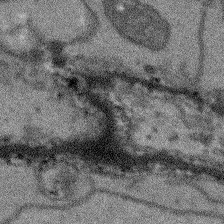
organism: Arabidopsis thaliana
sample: Root tip